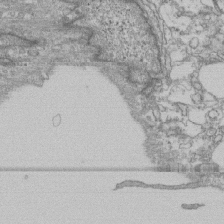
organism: Human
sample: Fibroblast cells